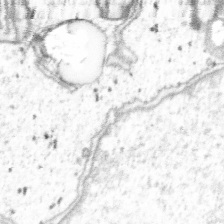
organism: Human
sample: HeLa cells